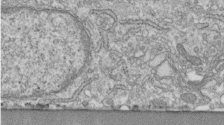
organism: Human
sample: Centriole in fibroblast cells